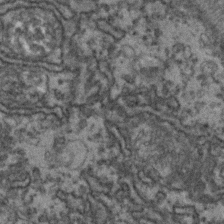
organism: Zebrafish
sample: Zebrafish embryo